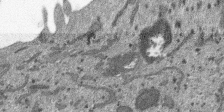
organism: Human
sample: Lung epithelial cells infected with SARS-CoV-2